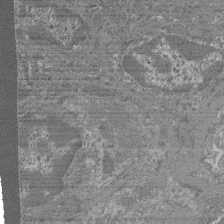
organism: Mouse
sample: Glomerulus